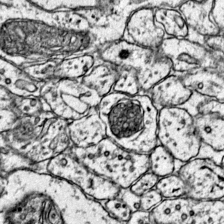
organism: Mouse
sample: Primary visual cortex